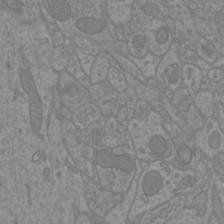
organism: Mouse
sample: Cortical neurons